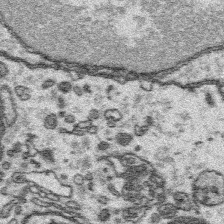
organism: Platynereis dumerilii